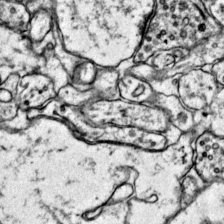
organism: Mouse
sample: Primary visual cortex